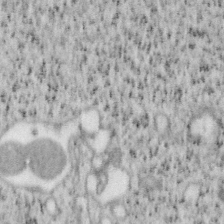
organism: Mouse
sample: OT-I killer T cells with ID8 ovarian cancer cells